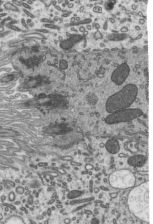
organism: Mouse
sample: Mouse epididymis efferent ductule cilia